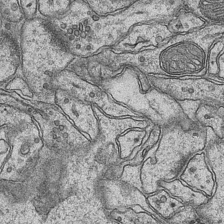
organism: Mouse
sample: CA1 Hippocampus